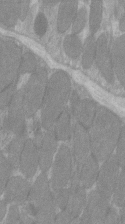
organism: C57BL Mouse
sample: Tibialis anterior muscle cell